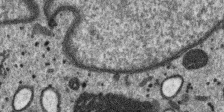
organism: Human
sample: Lung epithelial cells infected with SARS-CoV-2